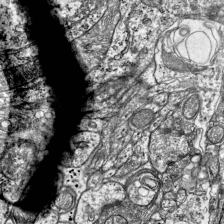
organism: Mouse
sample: Visual Cortex